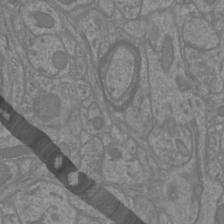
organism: Mouse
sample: Cortical neurons